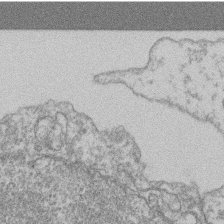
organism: Mouse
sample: T cell stromal cell synapse